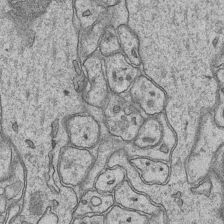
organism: Mouse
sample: CA1 Hippocampus